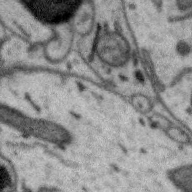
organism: Zebra finch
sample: Brain